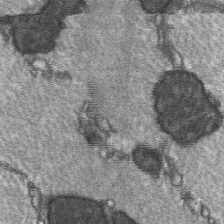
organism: C57BL Mouse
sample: Soleus